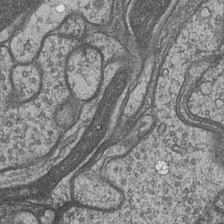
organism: Drosophila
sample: Optic medulla